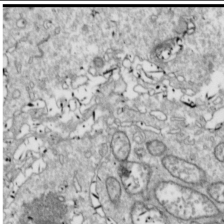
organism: Drosophila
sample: Cell division; meiosis; drosophila spermatocytes